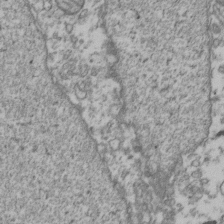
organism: Human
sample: Activated Jurkat CD4+ T cells